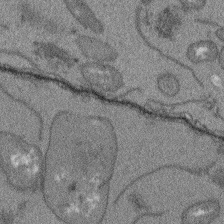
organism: Arabidopsis thaliana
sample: Root tip